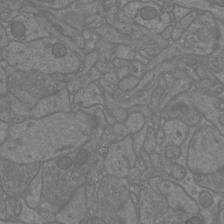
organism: Mouse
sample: Cortical neurons